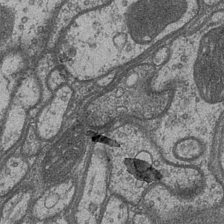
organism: Drosophila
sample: Optic medulla